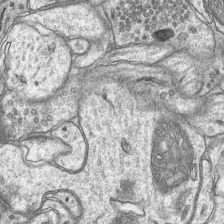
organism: Mouse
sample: CA1 Hippocampus